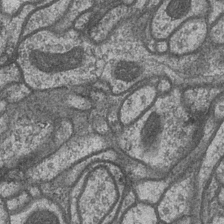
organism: Drosophila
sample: Optic medulla